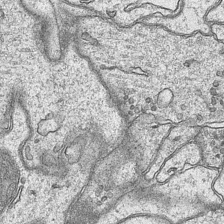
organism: Mouse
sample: CA1 Hippocampus